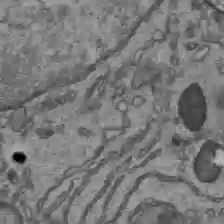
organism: C57BL Mouse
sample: Liver